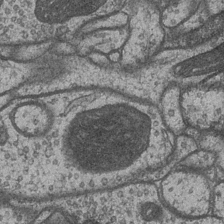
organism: Drosophila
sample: Optic medulla